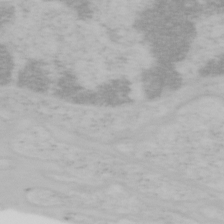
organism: Mouse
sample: OT-I killer T cells with ID8 ovarian cancer cells